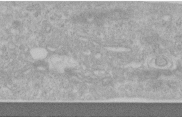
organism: Human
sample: Centriole in RPE cells